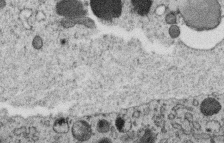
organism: C. elegans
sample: C. elegans oocyte; sperm cells